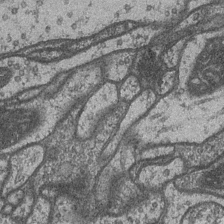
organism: Drosophila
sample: Optic medulla